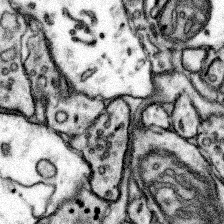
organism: Mouse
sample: Somatosensory cortex neuropil